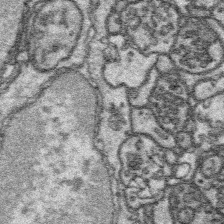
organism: Platynereis dumerilii